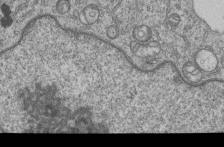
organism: Human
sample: MDA-MB-231 cells